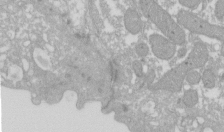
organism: Xenopus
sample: Cilia; centrioles in frog embryo cells